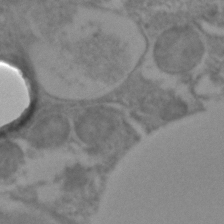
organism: C. elegans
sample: C. elegans embryo